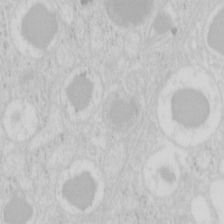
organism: Mouse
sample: Pancreas